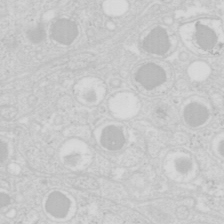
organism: Mouse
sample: Pancreas